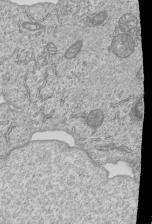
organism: Human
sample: MDA-MB-231 cells